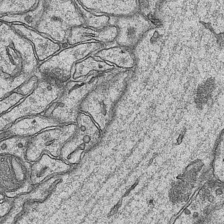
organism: Mouse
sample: CA1 Hippocampus